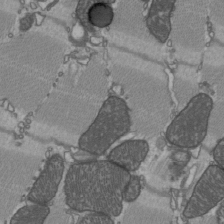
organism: C57BL Mouse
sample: Heart